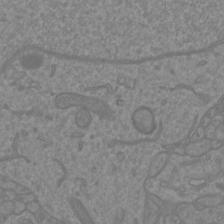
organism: Mouse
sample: Cortical neurons